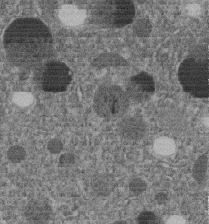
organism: C. elegans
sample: C. elegans embryo early stage